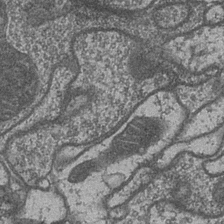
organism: Drosophila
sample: Optic medulla